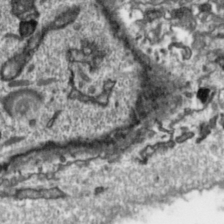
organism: Toxoplasma gondii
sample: Parasites in a vacuole inside a host cell